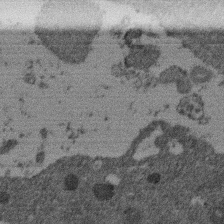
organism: Mouse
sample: Dividing mouse embryo 1 cell stage